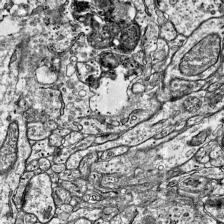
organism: Mouse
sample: Visual Cortex